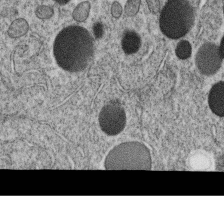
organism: C. elegans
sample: C. elegans oocyte; sperm cells